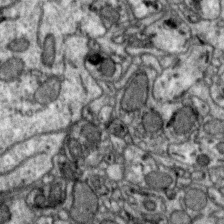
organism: Zebra finch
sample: Brain